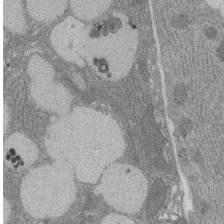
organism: Rat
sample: Salivary granule